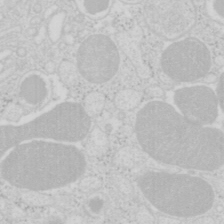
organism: Mouse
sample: Pancreas